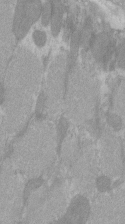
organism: C57BL Mouse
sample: Tibialis anterior muscle cell